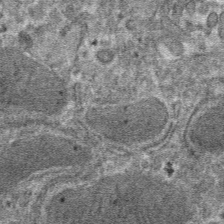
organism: Mouse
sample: Mouse hepatocytes